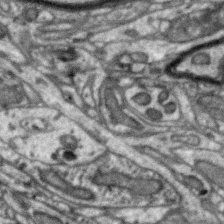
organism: Zebra finch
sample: Brain